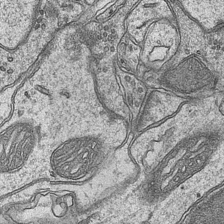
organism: Mouse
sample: CA1 Hippocampus